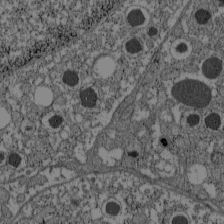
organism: C57BL Mouse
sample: Pancreatic islet